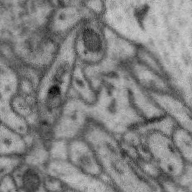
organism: Zebra finch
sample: Brain